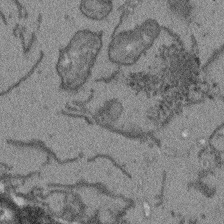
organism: Arabidopsis thaliana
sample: Root tip